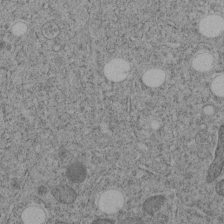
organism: C. elegans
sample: C. elegans embryo early stage